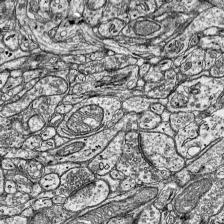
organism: Mouse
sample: Visual Cortex